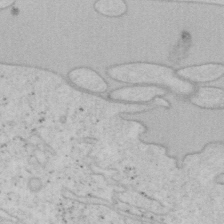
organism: Human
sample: HeLa cells